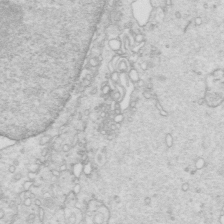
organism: Mouse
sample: Multiciliated cells